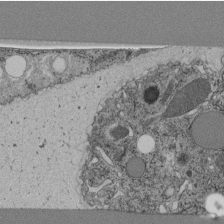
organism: C. elegans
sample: C. elegans pharynx